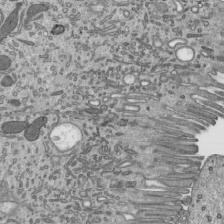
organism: Mouse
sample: Mouse epididymis efferent ductule cilia